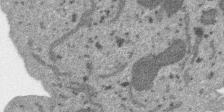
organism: Human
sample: Lung epithelial cells infected with SARS-CoV-2